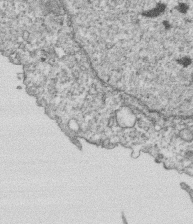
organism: Human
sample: HeLa cell HIV synapse